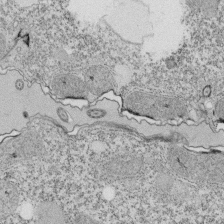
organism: Tetrahymena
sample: Cilia in tetrahymena